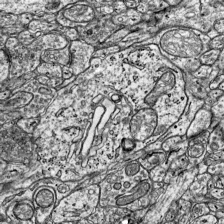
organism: Mouse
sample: Visual Cortex